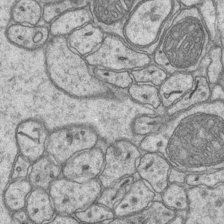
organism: Mouse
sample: CA1 Hippocampus